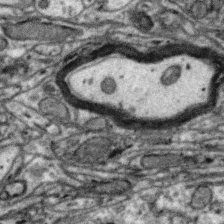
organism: Zebra finch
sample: Brain